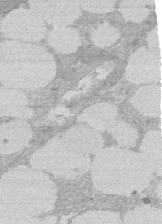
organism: Rat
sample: Salivary granule